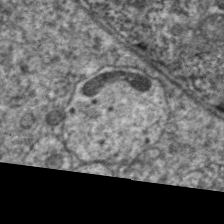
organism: C. elegans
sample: Pharynx